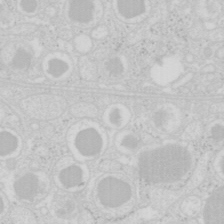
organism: Mouse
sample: Pancreas